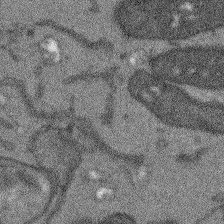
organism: Arabidopsis thaliana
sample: Root tip